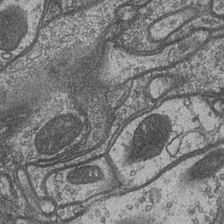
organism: Drosophila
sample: Optic medulla